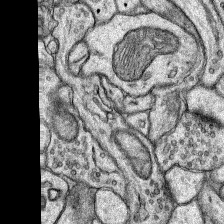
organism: Rat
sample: Hippocampus